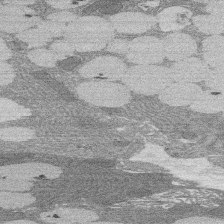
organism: Rat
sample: Salivary granule